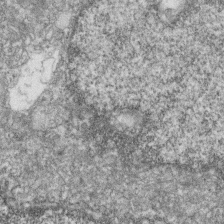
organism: Zebrafish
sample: Cilia; retinal pigment epithelium